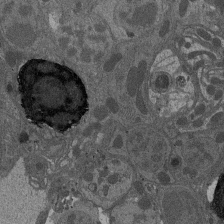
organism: Drosophila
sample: Antenna